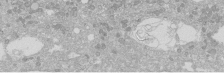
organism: Human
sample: Caco-2 cells